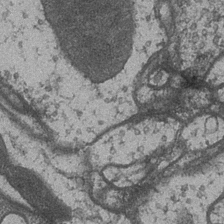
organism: Drosophila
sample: Optic medulla